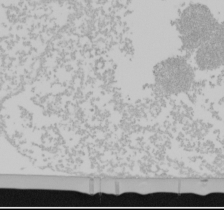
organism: Mouse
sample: Cancer cell death in ED-1 cells